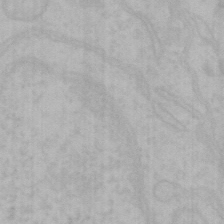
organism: Mouse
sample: Choroid plexus